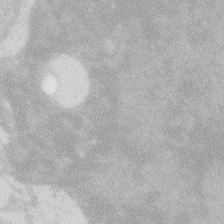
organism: Zebrafish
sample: Macrophage